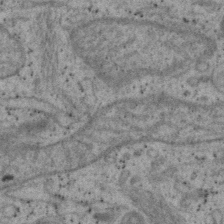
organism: Human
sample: HeLa cells